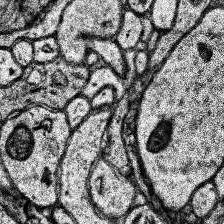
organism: Human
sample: Temporal Lobe